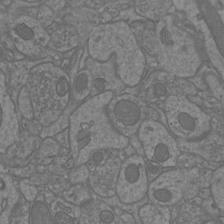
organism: Mouse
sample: Cortical neurons